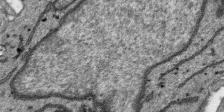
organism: Human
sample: Lung epithelial cells, uninfected (mock) control